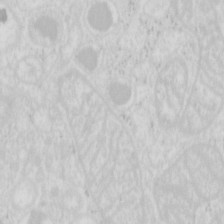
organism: Mouse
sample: Pancreas